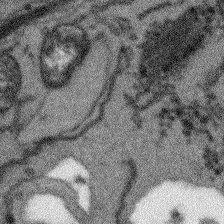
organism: Arabidopsis thaliana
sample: Root tip